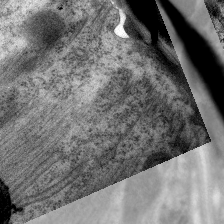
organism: C. elegans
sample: Pharynx